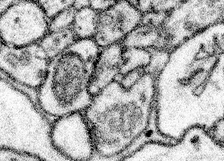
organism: Mouse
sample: Somatosensory cortex neuropil